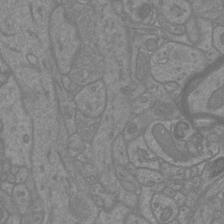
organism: Mouse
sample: Cortical neurons